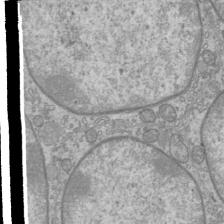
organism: Mouse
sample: Cilia; mouse epididymis